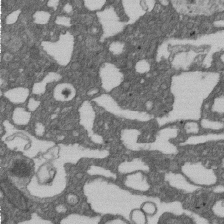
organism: Drosophila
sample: Nephrocyte